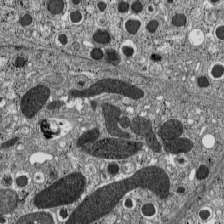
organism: C57BL Mouse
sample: Pancreatic islet